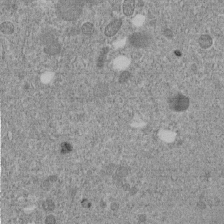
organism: C. elegans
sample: C. elegans embryo early stage